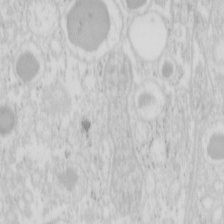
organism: Mouse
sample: Pancreas